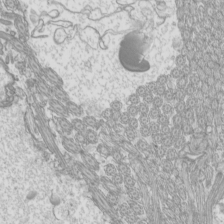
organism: Mouse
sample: Cilia; mouse epididymis